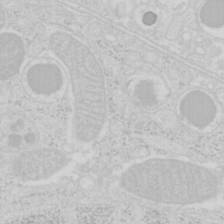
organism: Mouse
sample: Pancreas